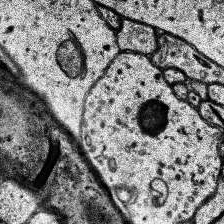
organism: Human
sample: Temporal Lobe